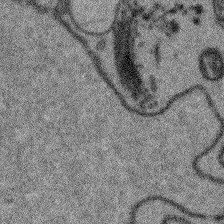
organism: Arabidopsis thaliana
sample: Root tip